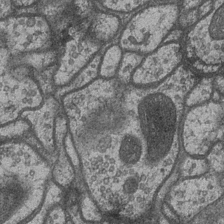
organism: Drosophila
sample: Optic medulla